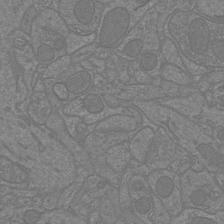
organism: Mouse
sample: Cortical neurons